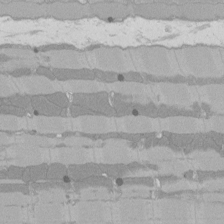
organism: Rat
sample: Left ventricle